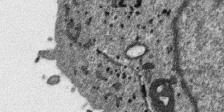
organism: Human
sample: Lung epithelial cells infected with SARS-CoV-2